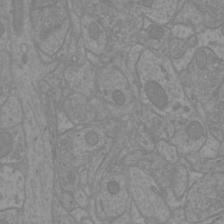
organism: Mouse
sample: Cortical neurons